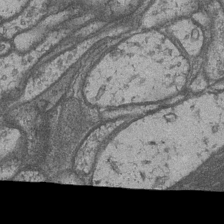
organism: Drosophila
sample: Optic medulla